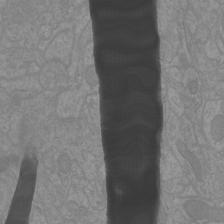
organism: Mouse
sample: Cortical neurons